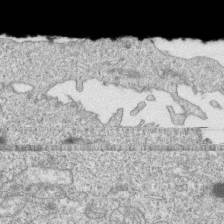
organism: Human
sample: HeLa cell HIV synapse